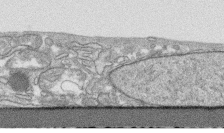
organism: Human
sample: CRL-1474